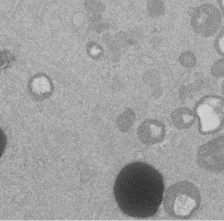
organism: Mouse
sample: Dividing mouse embryo 1 cell stage